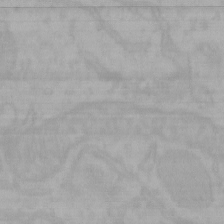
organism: Mouse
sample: Choroid plexus